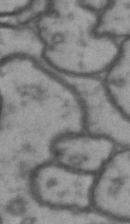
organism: Drosophila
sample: Brain